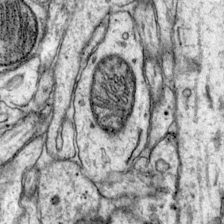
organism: Mouse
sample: Primary visual cortex